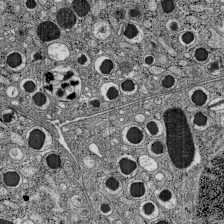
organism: C57BL Mouse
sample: Pancreatic islet